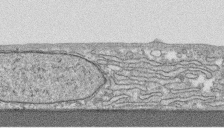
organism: Human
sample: CRL-1474